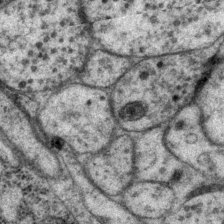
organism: P. pacificus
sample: Pharynx